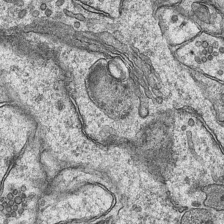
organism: Mouse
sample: CA1 Hippocampus